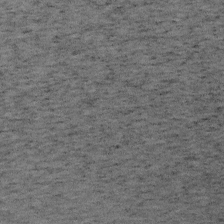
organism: Mouse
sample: OT-I killer T cells with ID8 ovarian cancer cells